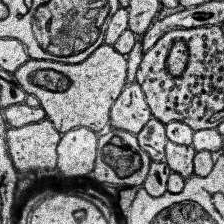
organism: Human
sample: Temporal Lobe